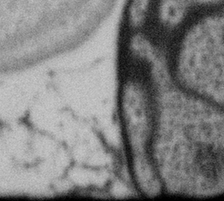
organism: Gemmata obscuriglobus